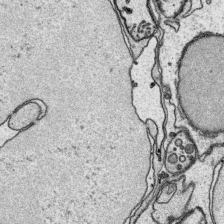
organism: Platynereis dumerilii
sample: Parapodia